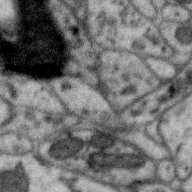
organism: Zebra finch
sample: Brain